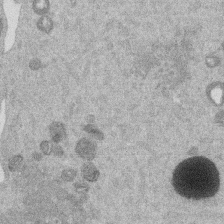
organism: Mouse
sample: Dividing mouse embryo 1 cell stage